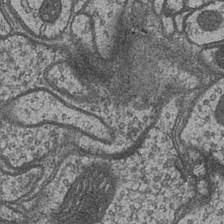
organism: Drosophila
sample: Optic medulla